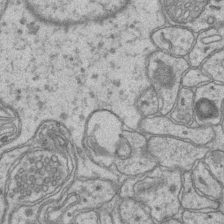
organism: Mouse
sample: CA1 Hippocampus